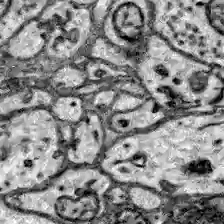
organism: Zebrafish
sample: Brain